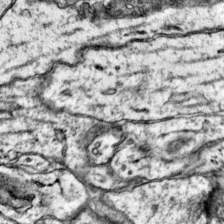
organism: Mouse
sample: Primary visual cortex